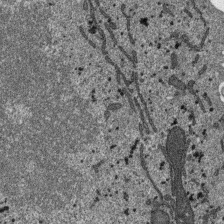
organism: Human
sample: Lung epithelial cells infected with SARS-CoV-2